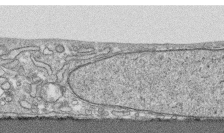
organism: Human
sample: CRL-1474